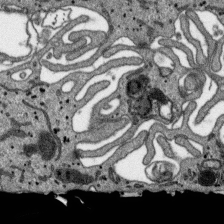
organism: Human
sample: Lung epithelial cells, uninfected (mock) control